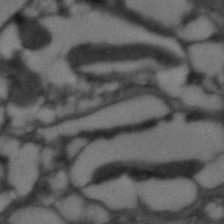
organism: C. elegans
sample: C. elegans embryo